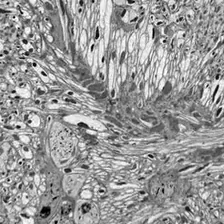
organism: Drosophila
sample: Optic lobe